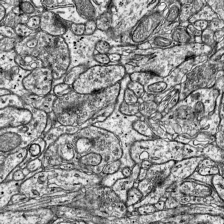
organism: Mouse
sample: Visual Cortex